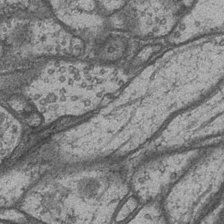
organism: Drosophila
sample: Optic medulla